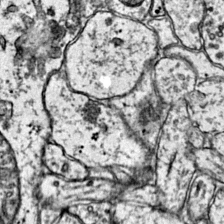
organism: Mouse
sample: Primary visual cortex